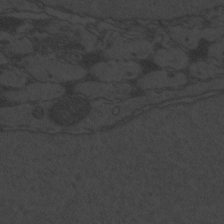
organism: Zebrafish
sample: Macrophage infected with Toxoplasma gondii